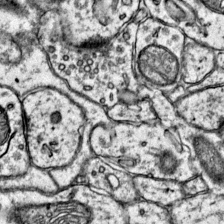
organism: Mouse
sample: Primary visual cortex